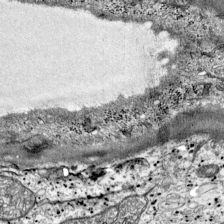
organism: Mouse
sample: Visual Cortex